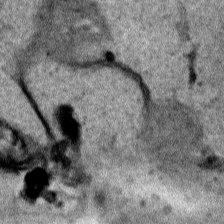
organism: Human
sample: Mitochondria in HCT116 cells